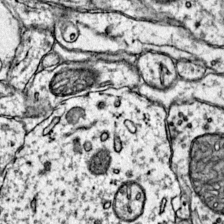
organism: Mouse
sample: Primary visual cortex